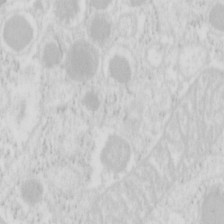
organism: Mouse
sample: Pancreas